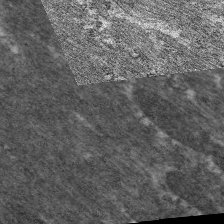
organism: C. elegans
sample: Pharynx